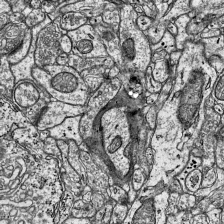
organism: Mouse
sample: Visual Cortex